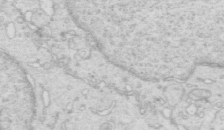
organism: Mouse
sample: Multiciliated cells